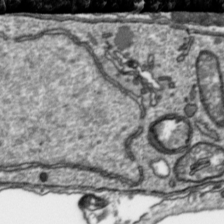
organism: Toxoplasma gondii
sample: Parasites in a vacuole inside a host cell